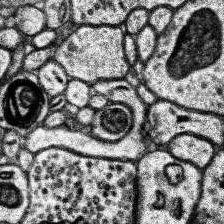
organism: Human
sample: Temporal Lobe